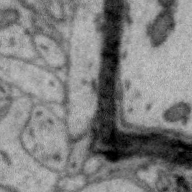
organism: Zebra finch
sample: Brain